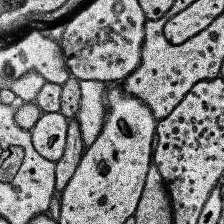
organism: Human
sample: Temporal Lobe